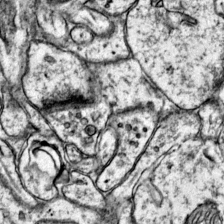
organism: Mouse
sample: Primary visual cortex